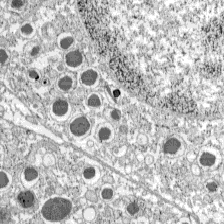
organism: C57BL Mouse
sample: Pancreatic islet